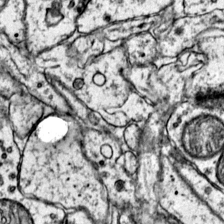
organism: Mouse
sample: Primary visual cortex